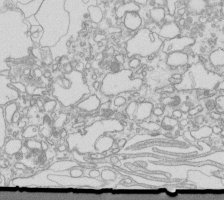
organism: Mouse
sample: Macrophages